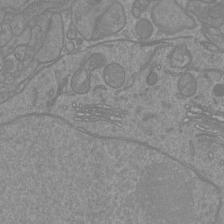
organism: Mouse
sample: Cortical neurons